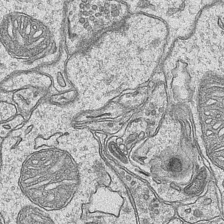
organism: Mouse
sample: CA1 Hippocampus